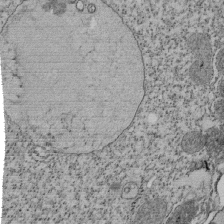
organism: Tetrahymena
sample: Cilia in tetrahymena